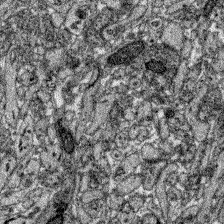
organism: Zebrafish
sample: Larval olfactory bulb